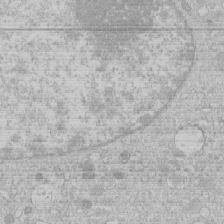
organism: Human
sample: Macrophage cells